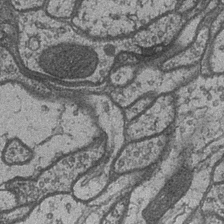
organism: Drosophila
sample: Optic medulla